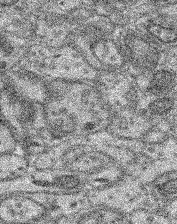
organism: Mouse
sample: Retina